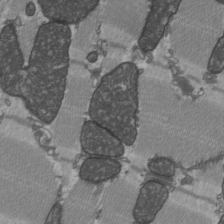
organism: C57BL Mouse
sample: Heart